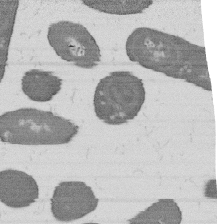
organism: B. subtilis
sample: Bacterial spore